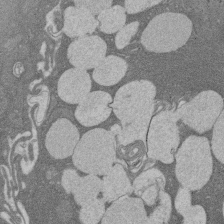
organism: Rat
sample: Salivary granule